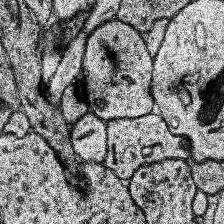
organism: Human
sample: Temporal Lobe